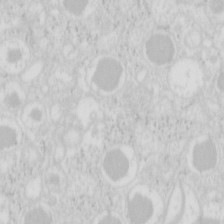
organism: Mouse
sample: Pancreas